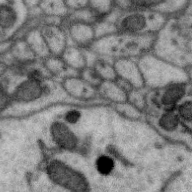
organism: Zebra finch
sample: Brain